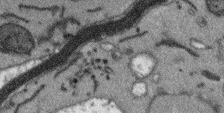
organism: Arabidopsis thaliana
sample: Root tip